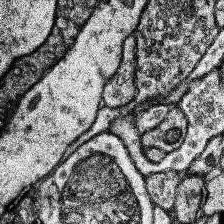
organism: Human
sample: Temporal Lobe